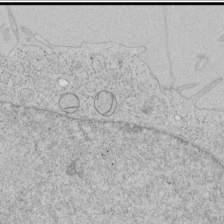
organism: Human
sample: Mitochondria in HCT116 cells